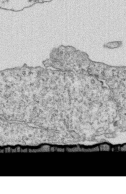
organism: Human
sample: HeLa cell HIV synapse